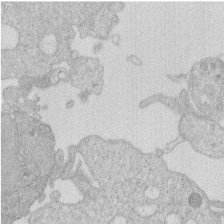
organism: Human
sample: Macrophage cells